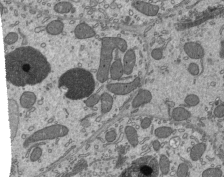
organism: Mouse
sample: Mouse epididymis efferent ductule cilia